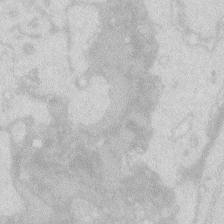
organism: Zebrafish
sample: Macrophage